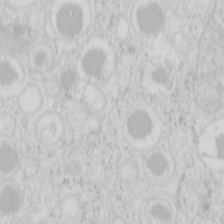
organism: Mouse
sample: Pancreas